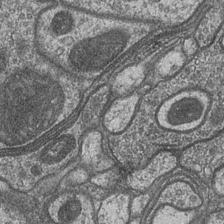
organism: Drosophila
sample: Optic medulla